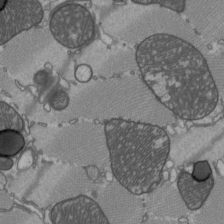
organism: C57BL Mouse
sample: Heart